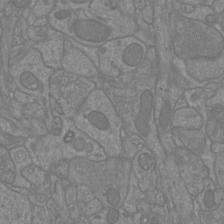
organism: Mouse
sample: Cortical neurons